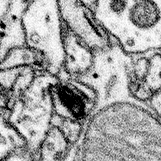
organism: Mouse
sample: Somatosensory cortex neuropil